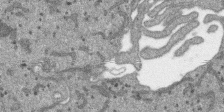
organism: Human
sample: Lung epithelial cells infected with SARS-CoV-2